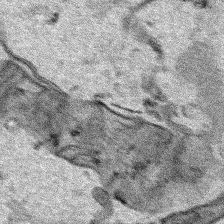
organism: Human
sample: Mitochondria in HCT116 cells